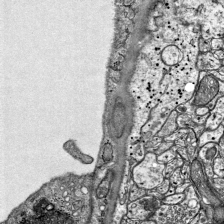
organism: Mouse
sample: Visual Cortex